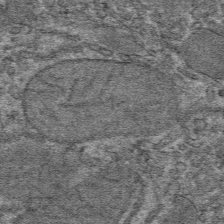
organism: Mouse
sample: Mouse hepatocytes